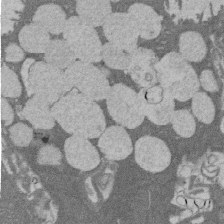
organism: Rat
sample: Salivary granule